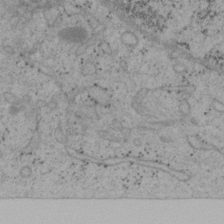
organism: Human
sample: HeLa cells